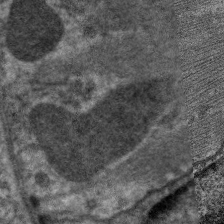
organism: C. elegans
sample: Pharynx